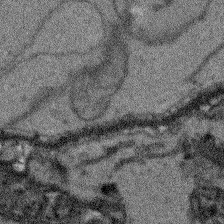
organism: Arabidopsis thaliana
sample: Root tip